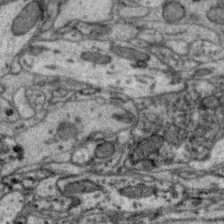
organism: Zebra finch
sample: Brain